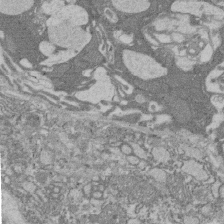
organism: Rat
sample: Salivary granule